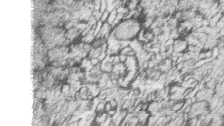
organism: Zebrafish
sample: synaptic ribbons in rod cells and cone cells